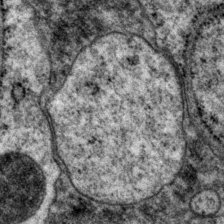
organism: P. pacificus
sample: Pharynx